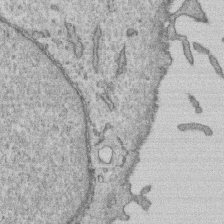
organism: Human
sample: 1205lu cells